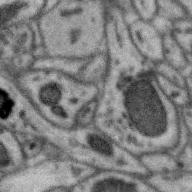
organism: Zebra finch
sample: Brain